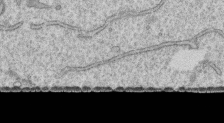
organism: Human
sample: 1205lu cells